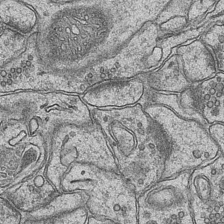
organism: Mouse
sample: CA1 Hippocampus